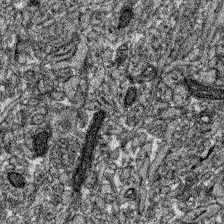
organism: Zebrafish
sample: Larval olfactory bulb